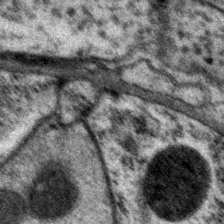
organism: P. pacificus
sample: Pharynx